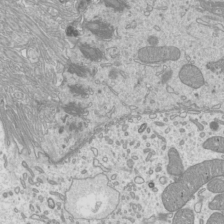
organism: Mouse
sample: Cilia; mouse epididymis